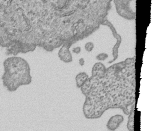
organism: Human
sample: MDA-MB-231 cells